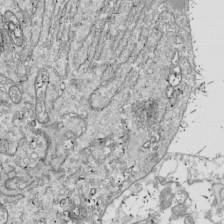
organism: Drosophila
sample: Cell division; meiosis; drosophila spermatocytes